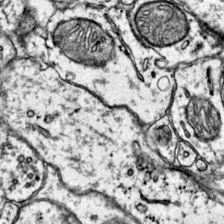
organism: Mouse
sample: Primary visual cortex